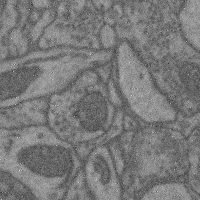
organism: Mouse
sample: Cerebral cortex